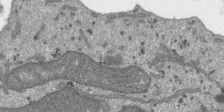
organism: Human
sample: Lung epithelial cells infected with SARS-CoV-2